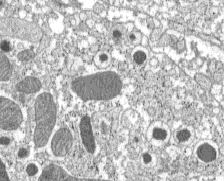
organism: C57BL Mouse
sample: Pancreatic islet